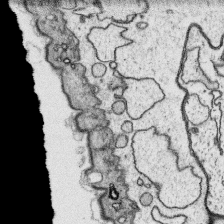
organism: Platynereis dumerilii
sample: Parapodia